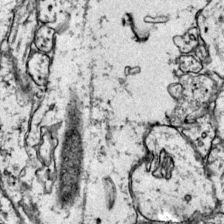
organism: Mouse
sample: Primary visual cortex